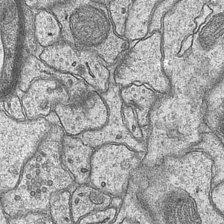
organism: Mouse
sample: CA1 Hippocampus